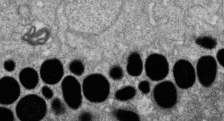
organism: Zebrafish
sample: Cilia; retinal pigment epithelium